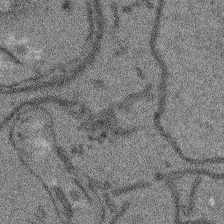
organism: Arabidopsis thaliana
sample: Root tip